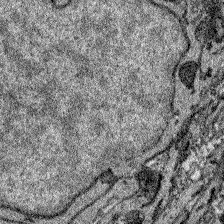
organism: Zebrafish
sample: Larval olfactory bulb